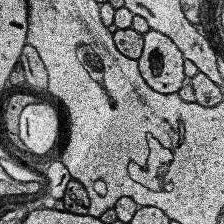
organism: Human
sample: Temporal Lobe